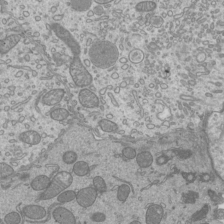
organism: Mouse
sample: Cilia; mouse epididymis